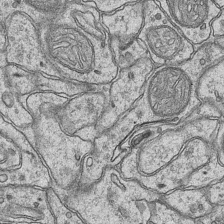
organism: Mouse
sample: CA1 Hippocampus